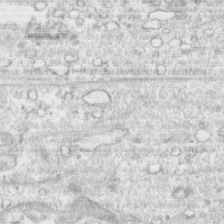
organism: Human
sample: CRL-1474